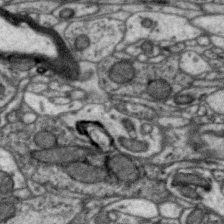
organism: Zebra finch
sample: Brain